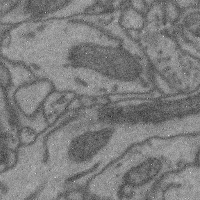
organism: Mouse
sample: Cerebral cortex